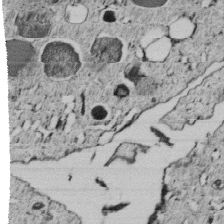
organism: C. elegans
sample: C. elegans embryo early stage